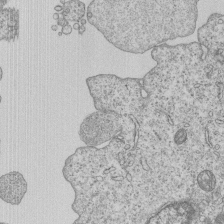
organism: Human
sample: MDA-MB-231 cells